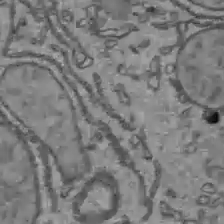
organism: C57BL Mouse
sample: Liver